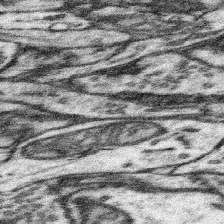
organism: Mouse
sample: Somatosensory cortex neuropil